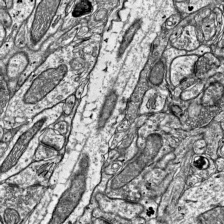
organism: Mouse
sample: Visual Cortex